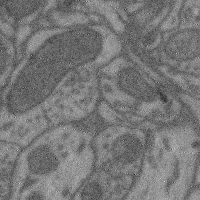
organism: Mouse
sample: Cerebral cortex